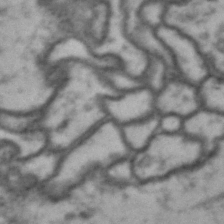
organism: Drosophila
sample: Brain